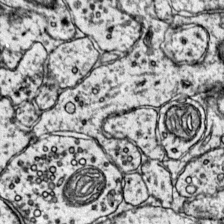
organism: Mouse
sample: Primary visual cortex